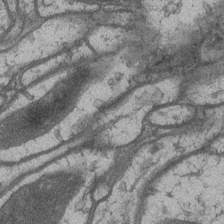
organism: Drosophila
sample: Optic medulla